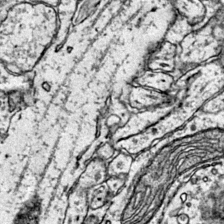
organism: Mouse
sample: Primary visual cortex